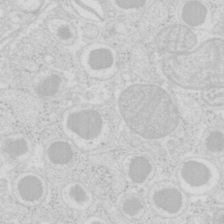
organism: Mouse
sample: Pancreas